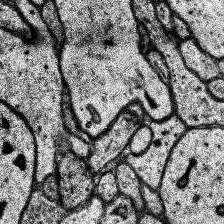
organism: Human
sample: Temporal Lobe